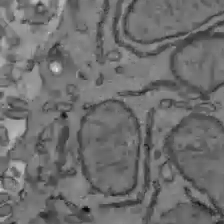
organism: C57BL Mouse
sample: Liver